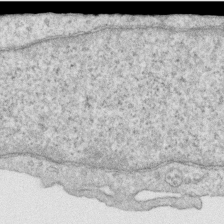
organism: Human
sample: Centriole in RPE cells